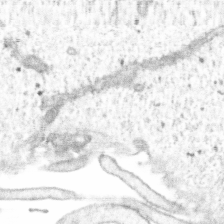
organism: Human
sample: HeLa cells